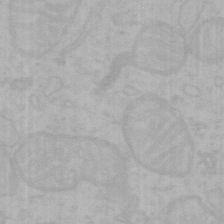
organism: Mouse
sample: Choroid plexus